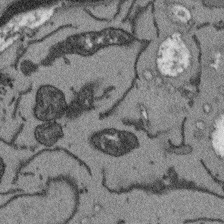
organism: Arabidopsis thaliana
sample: Root tip